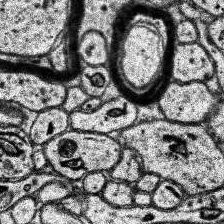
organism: Human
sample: Temporal Lobe